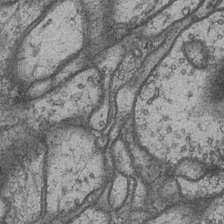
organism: Drosophila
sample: Optic medulla